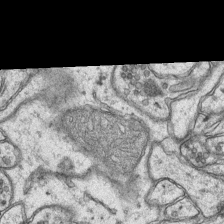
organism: Mouse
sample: CA1 Hippocampus